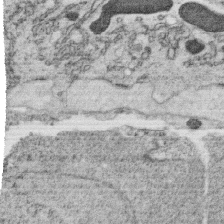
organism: C. elegans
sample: C. elegans oocyte; sperm cells